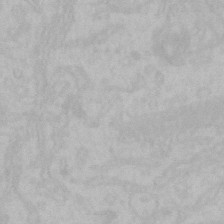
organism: Mouse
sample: Choroid plexus